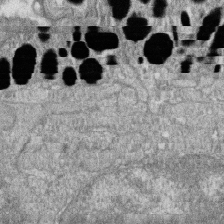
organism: Zebrafish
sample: Cilia; retinal pigment epithelium